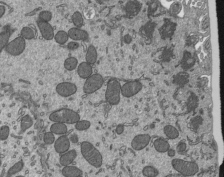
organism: Mouse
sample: Mouse epididymis efferent ductule cilia